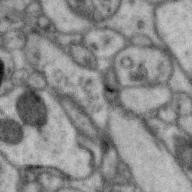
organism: Zebra finch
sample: Brain